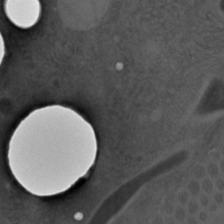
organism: C. elegans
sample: C. elegans embryo